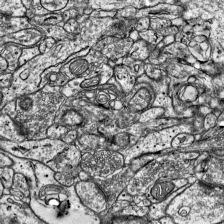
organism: Mouse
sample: Visual Cortex